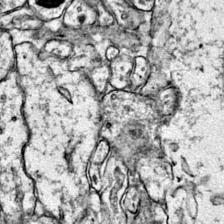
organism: Mouse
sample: Primary visual cortex